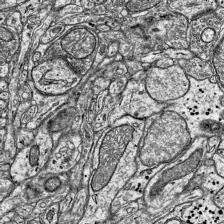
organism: Mouse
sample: Visual Cortex